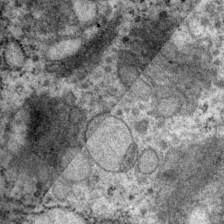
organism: P. pacificus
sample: Pharynx